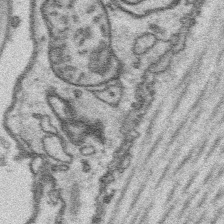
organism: Platynereis dumerilii